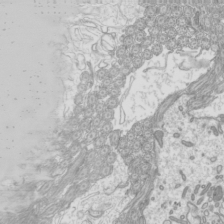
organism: Mouse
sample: Cilia; mouse epididymis